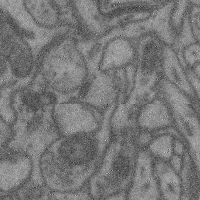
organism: Mouse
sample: Cerebral cortex